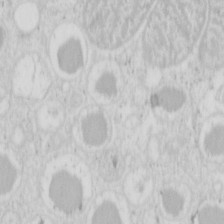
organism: Mouse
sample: Pancreas